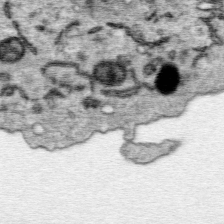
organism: Human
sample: HeLa cells